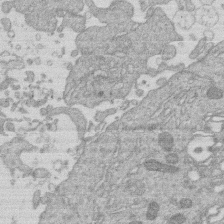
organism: Human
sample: Macrophage cells